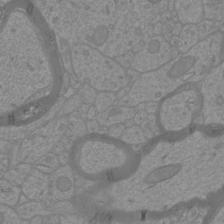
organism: Mouse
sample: Cortical neurons